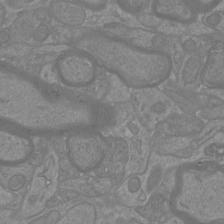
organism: Mouse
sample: Cortical neurons